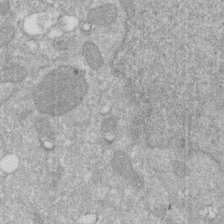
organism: Human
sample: HIV infected U937 cells